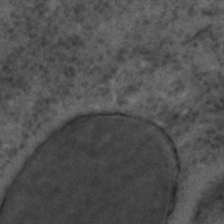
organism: C. elegans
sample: C. elegans embryo